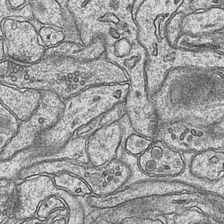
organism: Mouse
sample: CA1 Hippocampus